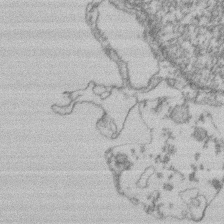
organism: Mouse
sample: T cell stromal cell synapse